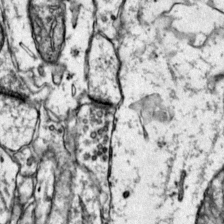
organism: Mouse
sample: Primary visual cortex